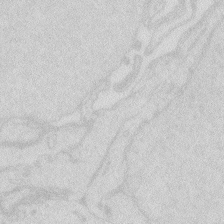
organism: Zebrafish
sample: Macrophage